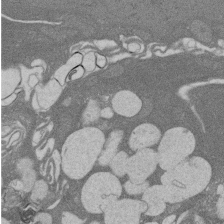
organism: Rat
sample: Salivary granule